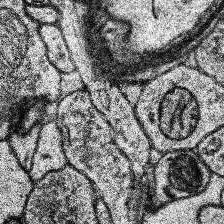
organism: Human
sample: Temporal Lobe